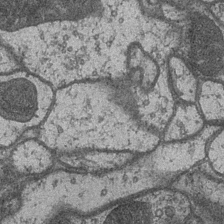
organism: Drosophila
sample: Optic medulla